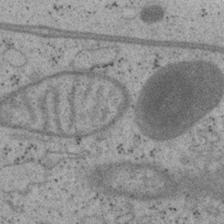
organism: Human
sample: HeLa cells